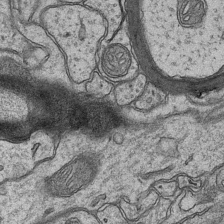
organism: Mouse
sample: CA1 Hippocampus